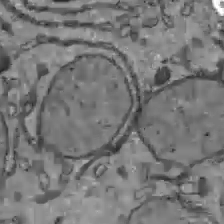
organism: C57BL Mouse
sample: Liver